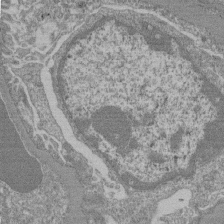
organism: Mouse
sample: Glomerulus